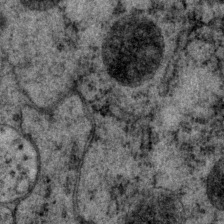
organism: P. pacificus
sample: Pharynx